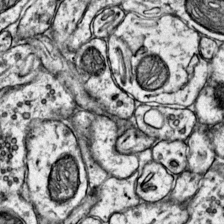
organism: Mouse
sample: Primary visual cortex